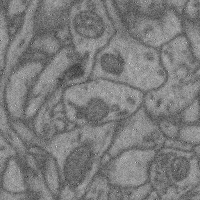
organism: Mouse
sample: Cerebral cortex